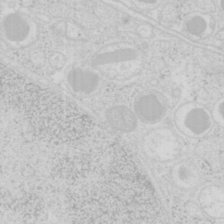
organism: Mouse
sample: Pancreas